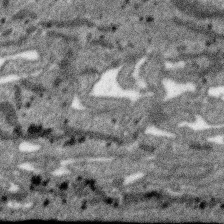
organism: Human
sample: Lung epithelial cells infected with SARS-CoV-2